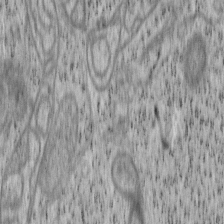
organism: Human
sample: HeLa cells